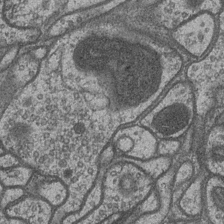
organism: Drosophila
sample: Optic medulla